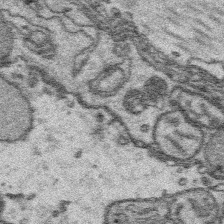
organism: Platynereis dumerilii